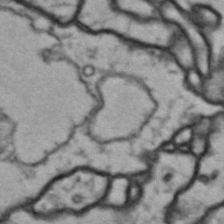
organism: Drosophila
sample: Brain